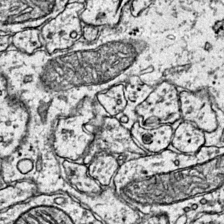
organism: Mouse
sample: Primary visual cortex